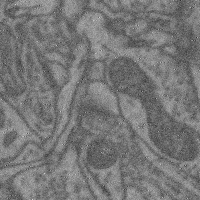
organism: Mouse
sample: Cerebral cortex